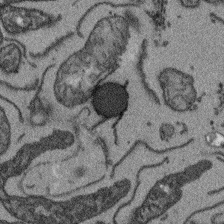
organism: Arabidopsis thaliana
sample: Root tip